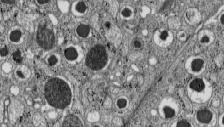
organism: C57BL Mouse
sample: Pancreatic islet